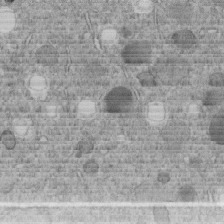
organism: C. elegans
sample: C. elegans embryo early stage